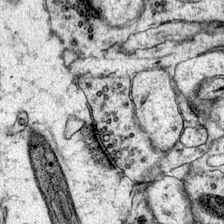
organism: Mouse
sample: Primary visual cortex